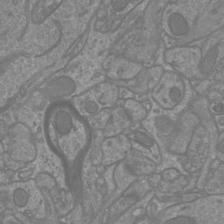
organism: Mouse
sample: Cortical neurons